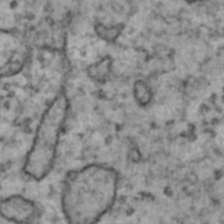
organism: Human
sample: Blood